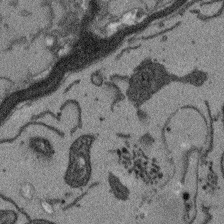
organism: Arabidopsis thaliana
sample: Root tip